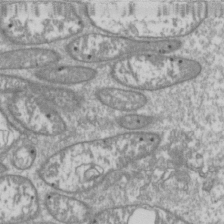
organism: Drosophila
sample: Cell division; meiosis; drosophila spermatocytes